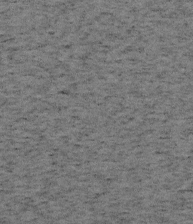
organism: Mouse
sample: OT-I killer T cells with ID8 ovarian cancer cells